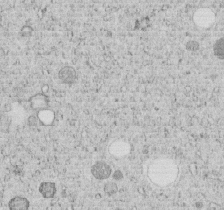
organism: C. elegans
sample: C. elegans embryo early stage